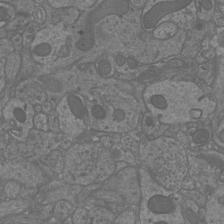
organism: Mouse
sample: Cortical neurons